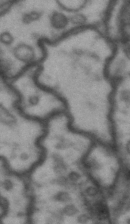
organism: Drosophila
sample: Brain